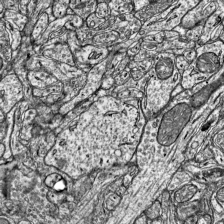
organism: Mouse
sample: Visual Cortex